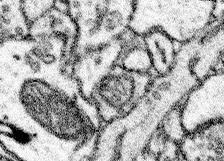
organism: Mouse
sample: Somatosensory cortex neuropil